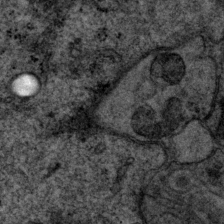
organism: P. pacificus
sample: Pharynx